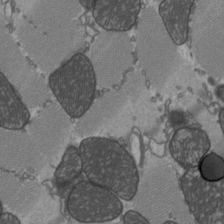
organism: C57BL Mouse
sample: Heart